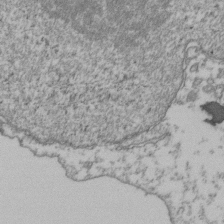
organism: Human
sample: Activated Jurkat CD4+ T cells